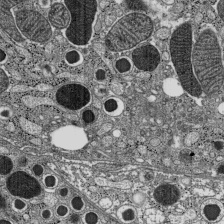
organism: C57BL Mouse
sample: Pancreatic islet